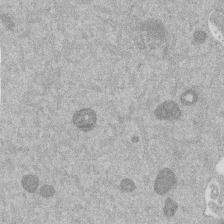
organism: Mouse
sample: Dividing mouse embryo 1 cell stage